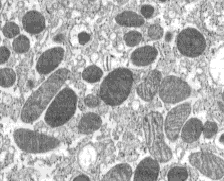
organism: C57BL Mouse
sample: Pancreatic islet